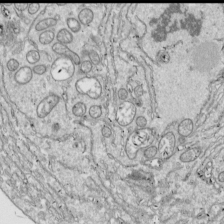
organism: Drosophila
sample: Cell division; meiosis; drosophila spermatocytes